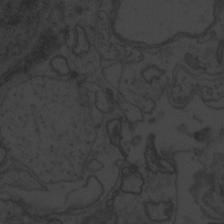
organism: Zebrafish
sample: Macrophage infected with Toxoplasma gondii